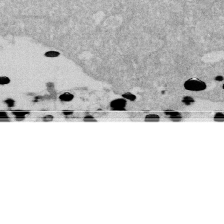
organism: Human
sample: HIV infected U937 cells